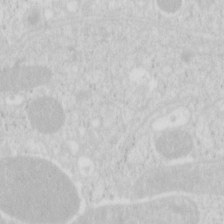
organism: Mouse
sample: Pancreas